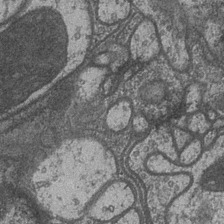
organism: Drosophila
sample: Optic medulla